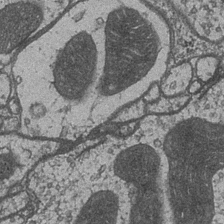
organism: Drosophila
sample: Optic medulla